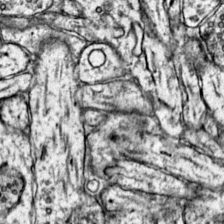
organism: Mouse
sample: Primary visual cortex